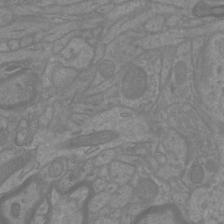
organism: Mouse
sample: Cortical neurons